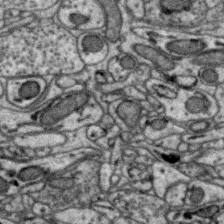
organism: Zebra finch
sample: Brain